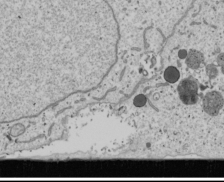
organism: Human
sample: Mitochondria in U2OS cells